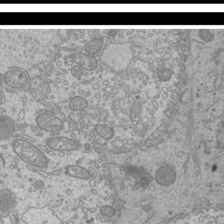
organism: Mouse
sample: Cilia; mouse epididymis